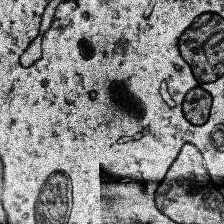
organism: Human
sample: Temporal Lobe